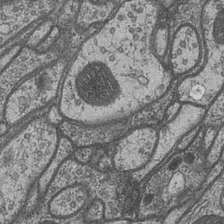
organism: Drosophila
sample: Optic medulla